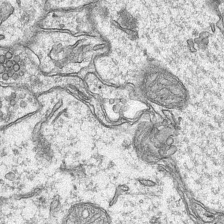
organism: Mouse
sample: CA1 Hippocampus